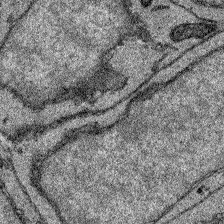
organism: Zebrafish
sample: Larval olfactory bulb